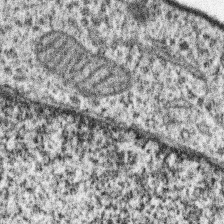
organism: Human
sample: HeLa cells